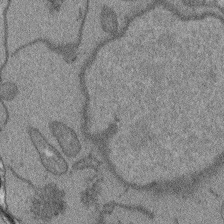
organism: Arabidopsis thaliana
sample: Root tip